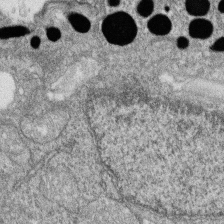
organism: Zebrafish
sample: Cilia; retinal pigment epithelium